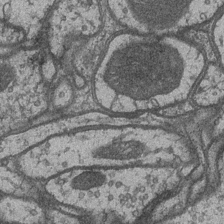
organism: Drosophila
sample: Optic medulla